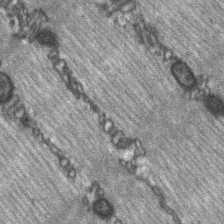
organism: C57BL Mouse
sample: Soleus